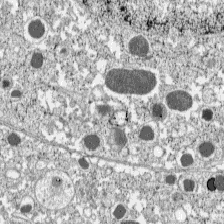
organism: C57BL Mouse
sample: Pancreatic islet